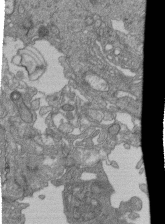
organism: Human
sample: Retinal organoid Rod and Cone cells